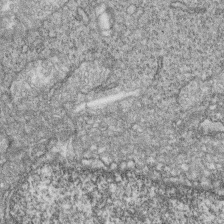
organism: Zebrafish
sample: Cilia; retinal pigment epithelium